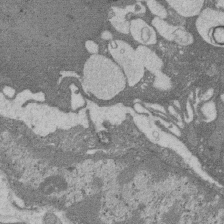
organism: Rat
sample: Salivary granule